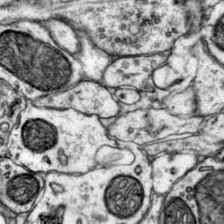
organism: Mouse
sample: Primary visual cortex